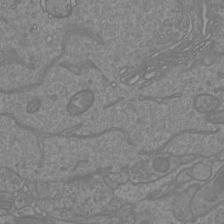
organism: Mouse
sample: Cortical neurons